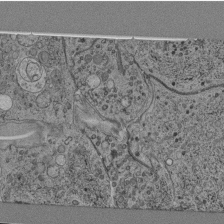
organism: C. elegans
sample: C. elegans pharynx